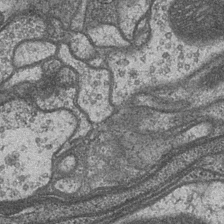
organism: Drosophila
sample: Optic medulla